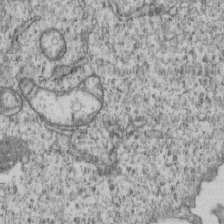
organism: Human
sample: MDA-MB-231 cells